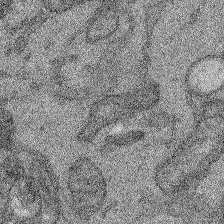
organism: Human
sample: HeLa cells